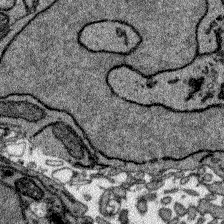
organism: Zebrafish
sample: Larval olfactory bulb